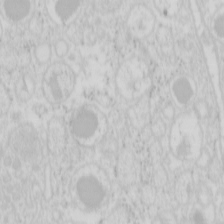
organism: Mouse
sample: Pancreas